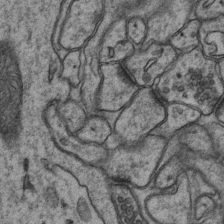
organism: Mouse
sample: CA1 Hippocampus